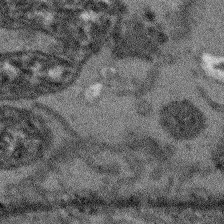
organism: Arabidopsis thaliana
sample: Root tip